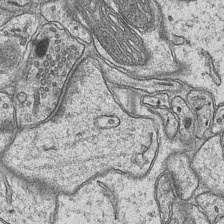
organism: Mouse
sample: CA1 Hippocampus